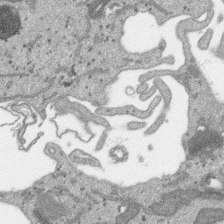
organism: Human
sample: Lung epithelial cells infected with SARS-CoV-2